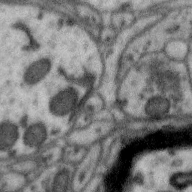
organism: Zebra finch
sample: Brain